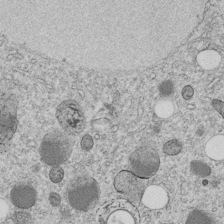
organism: C. elegans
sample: C. elegans embryo early stage